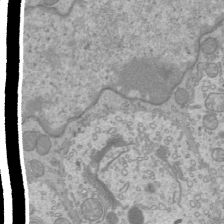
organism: Mouse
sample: Cilia; mouse epididymis